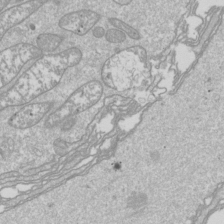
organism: Drosophila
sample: Cell division; meiosis; drosophila spermatocytes